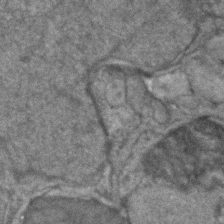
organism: Human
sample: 1205lu cells